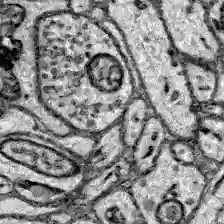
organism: Zebrafish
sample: Brain